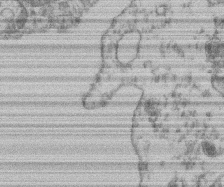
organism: Mouse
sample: T cell stromal cell synapse